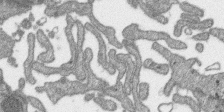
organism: Human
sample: Lung epithelial cells infected with SARS-CoV-2